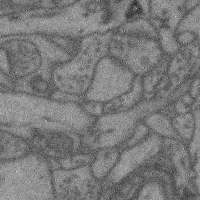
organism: Mouse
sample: Cerebral cortex